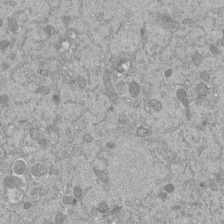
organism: Mouse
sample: ED-1 cell nuclei; centrioles